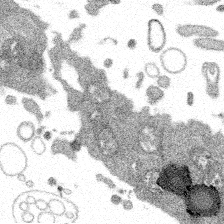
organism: Spongilla lacustris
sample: Multiple